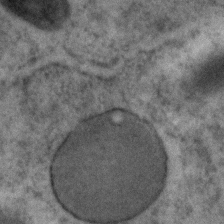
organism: C. elegans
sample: C. elegans embryo